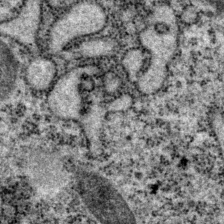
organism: P. pacificus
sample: Pharynx